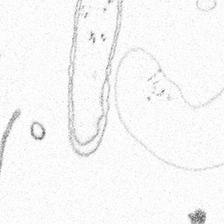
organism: Spongilla lacustris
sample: Multiple